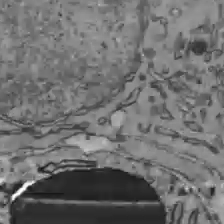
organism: C57BL Mouse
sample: Liver